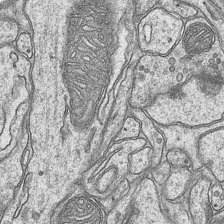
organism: Mouse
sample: CA1 Hippocampus